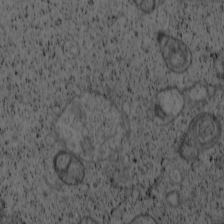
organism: African green monkey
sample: COS-7 cells